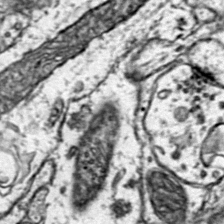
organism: Mouse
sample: Primary visual cortex